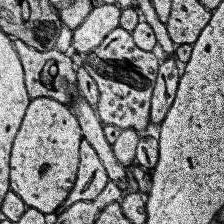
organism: Human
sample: Temporal Lobe